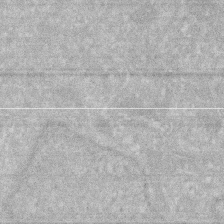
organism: Human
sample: HIV infected U937 cells